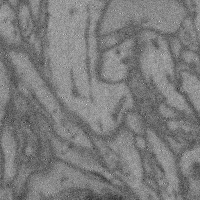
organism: Mouse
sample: Cerebral cortex